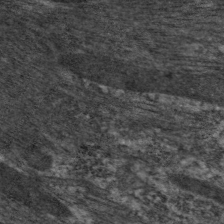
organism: C. elegans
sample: Pharynx